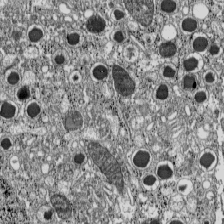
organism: C57BL Mouse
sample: Pancreatic islet